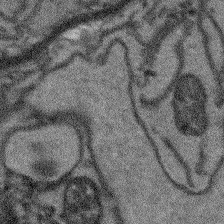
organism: Arabidopsis thaliana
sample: Root tip